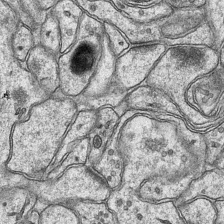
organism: Mouse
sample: CA1 Hippocampus